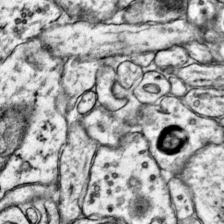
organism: Mouse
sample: Primary visual cortex